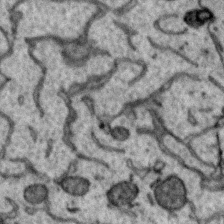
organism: Zebra finch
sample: Brain